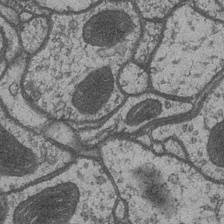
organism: Drosophila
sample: Optic medulla